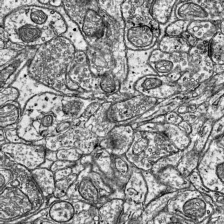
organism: Mouse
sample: Visual Cortex